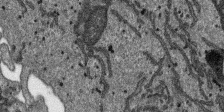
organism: Human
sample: Lung epithelial cells infected with SARS-CoV-2